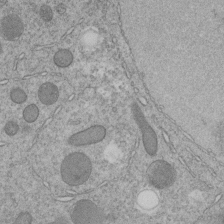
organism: C. elegans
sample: C. elegans embryo early stage